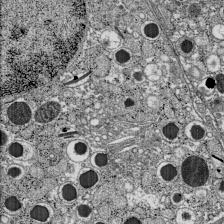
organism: C57BL Mouse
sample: Pancreatic islet